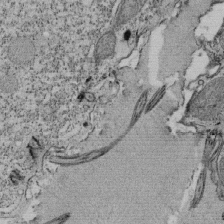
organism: Tetrahymena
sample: Cilia in tetrahymena